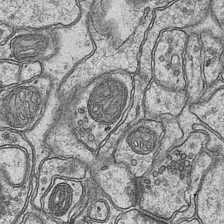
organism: Mouse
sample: CA1 Hippocampus